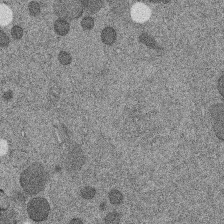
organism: C. elegans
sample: C. elegans embryo early stage